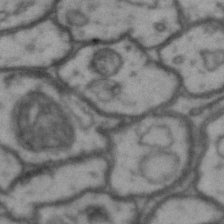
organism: Drosophila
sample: Brain